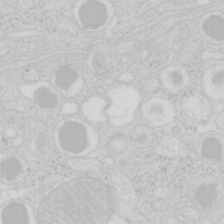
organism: Mouse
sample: Pancreas